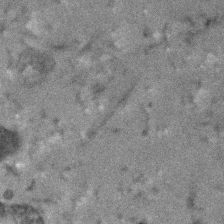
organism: Human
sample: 1205lu cells